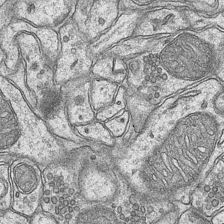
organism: Mouse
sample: CA1 Hippocampus